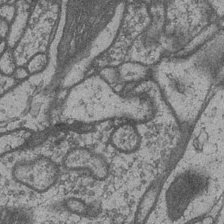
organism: Drosophila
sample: Optic medulla